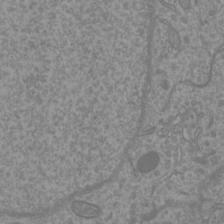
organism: Mouse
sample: Cortical neurons